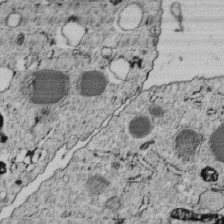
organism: C. elegans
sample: C. elegans embryo early stage